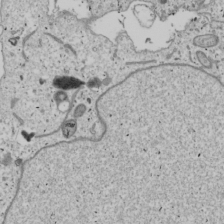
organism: Human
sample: Mitochondria in U2OS cells